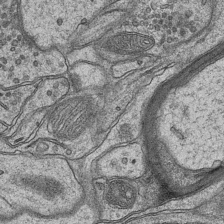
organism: Mouse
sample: CA1 Hippocampus